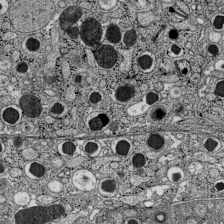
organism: C57BL Mouse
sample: Pancreatic islet